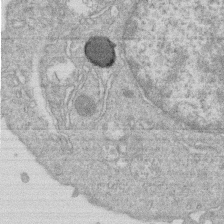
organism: Human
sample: Macrophage cells